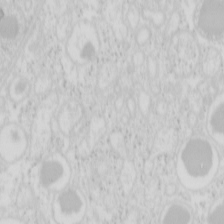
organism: Mouse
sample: Pancreas